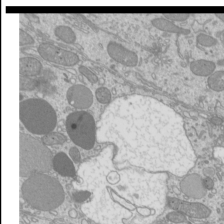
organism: Mouse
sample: Cilia; mouse epididymis